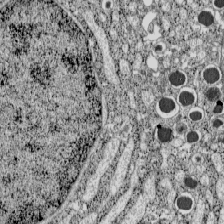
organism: C57BL Mouse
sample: Pancreatic islet